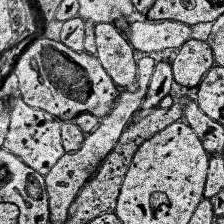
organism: Human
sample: Temporal Lobe